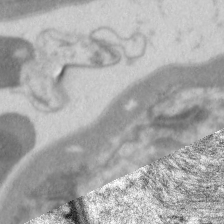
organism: C. elegans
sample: Pharynx